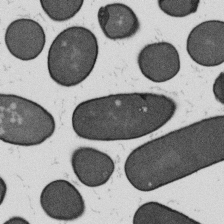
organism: B. subtilis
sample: Bacterial spore